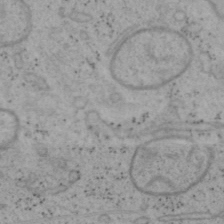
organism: Human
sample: HeLa cells